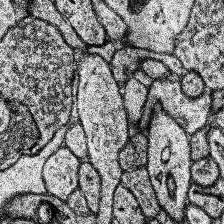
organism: Human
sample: Temporal Lobe